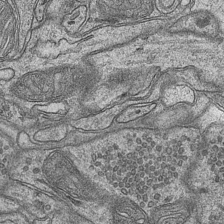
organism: Mouse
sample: CA1 Hippocampus